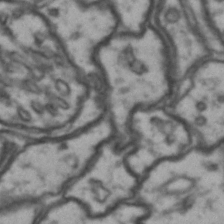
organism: Drosophila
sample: Brain